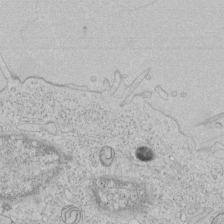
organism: Human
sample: Mitochondria in HCT116 cells